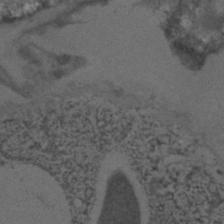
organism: C. elegans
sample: C. elegans embryo